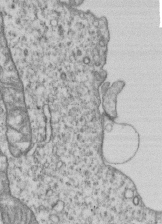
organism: Human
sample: MDA-MB-231 cells